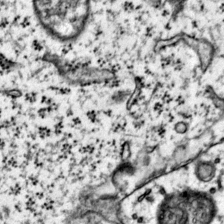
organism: Mouse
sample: Primary visual cortex